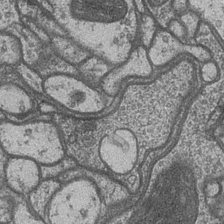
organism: Drosophila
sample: Optic medulla